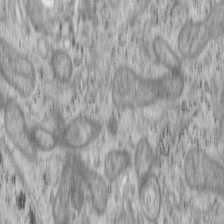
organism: Human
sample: HeLa cells